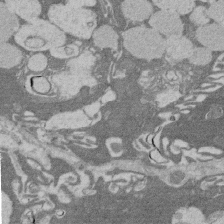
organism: Rat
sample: Salivary granule